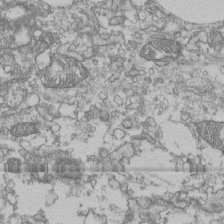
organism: Human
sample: Fibroblast cells